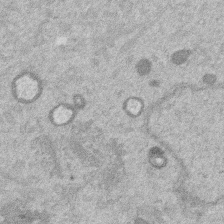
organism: Mouse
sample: Dividing mouse embryo 1 cell stage